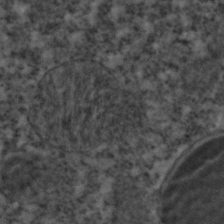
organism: C. elegans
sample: C. elegans embryo